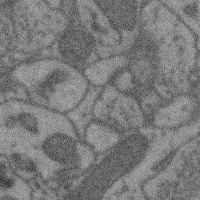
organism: Mouse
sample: Cerebral cortex